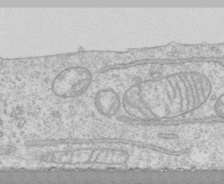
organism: Human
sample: CRL-1474